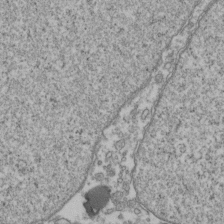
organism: Human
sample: Activated Jurkat CD4+ T cells